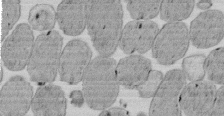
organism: E. coli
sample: Bacterial nucleoid